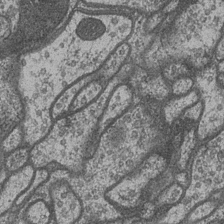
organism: Drosophila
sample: Optic medulla